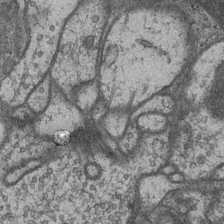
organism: Drosophila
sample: Optic medulla